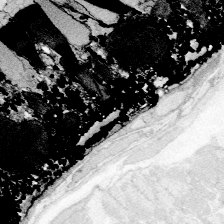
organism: Zebrafish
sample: Whole-Brain